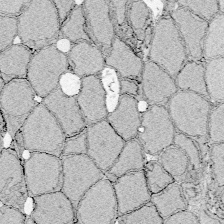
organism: Zebrafish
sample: Whole-Brain